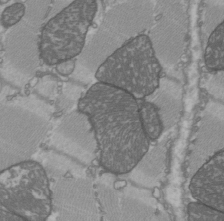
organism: C57BL Mouse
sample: Heart